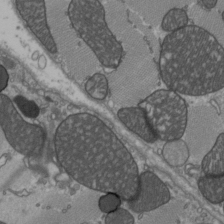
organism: C57BL Mouse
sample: Heart